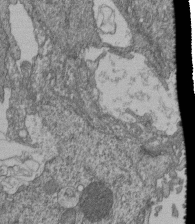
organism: Human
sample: Retinal organoid Rod and Cone cells